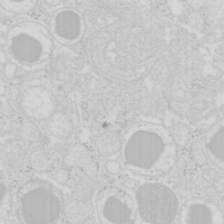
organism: Mouse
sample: Pancreas